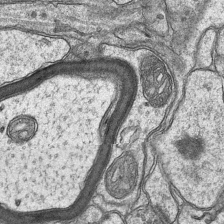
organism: Mouse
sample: CA1 Hippocampus